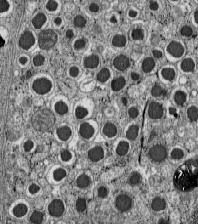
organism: C57BL Mouse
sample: Pancreatic islet